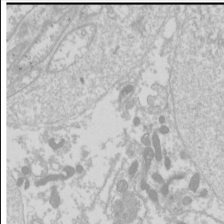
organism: Drosophila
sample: Cell division; meiosis; drosophila spermatocytes